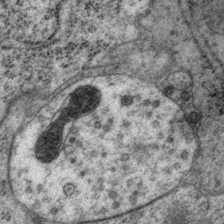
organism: P. pacificus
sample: Pharynx